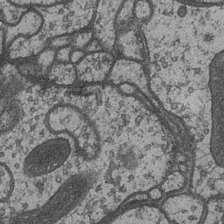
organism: Drosophila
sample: Optic medulla